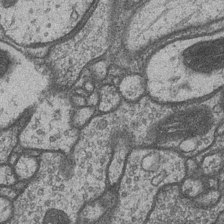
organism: Drosophila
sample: Optic medulla